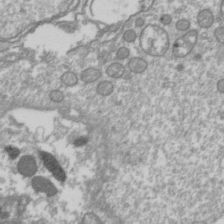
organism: Drosophila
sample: Cell division; meiosis; drosophila spermatocytes